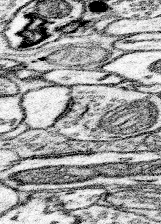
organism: Mouse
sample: Somatosensory cortex neuropil